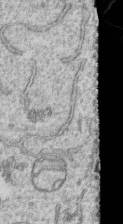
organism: Human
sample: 1205lu cells